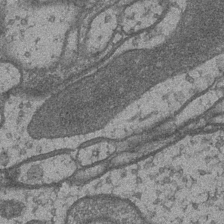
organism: Drosophila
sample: Optic medulla